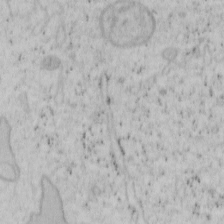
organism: Human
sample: HeLa cells